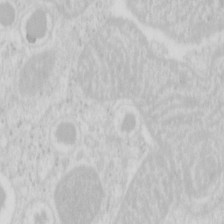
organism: Mouse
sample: Pancreas